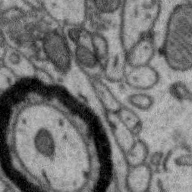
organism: Zebra finch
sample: Brain